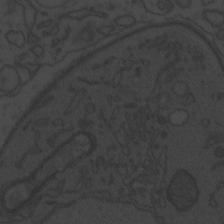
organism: Zebrafish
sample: Macrophage infected with Toxoplasma gondii